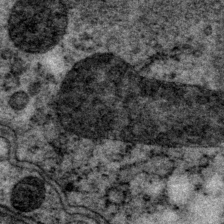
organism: P. pacificus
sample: Pharynx